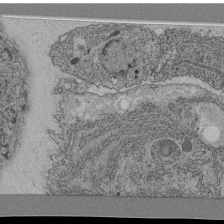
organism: C. elegans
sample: C. elegans pharynx